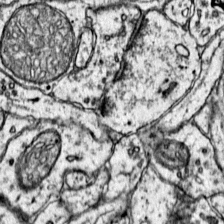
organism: Mouse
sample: Primary visual cortex